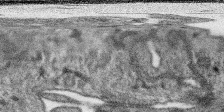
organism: Human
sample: Lung epithelial cells infected with SARS-CoV-2